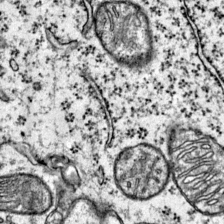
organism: Mouse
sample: Primary visual cortex